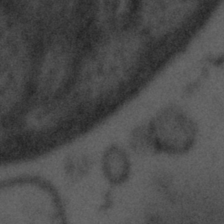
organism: Tuwongella immobilis